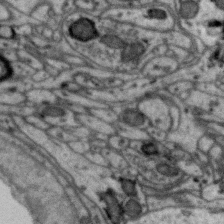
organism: Zebra finch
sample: Brain